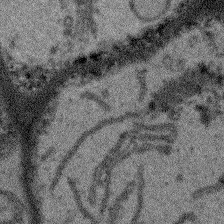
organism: Arabidopsis thaliana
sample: Root tip